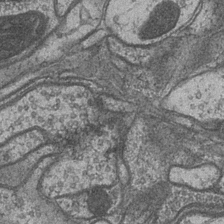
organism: Drosophila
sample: Optic medulla